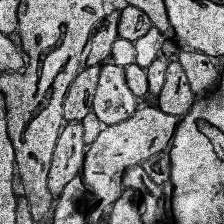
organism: Human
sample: Temporal Lobe